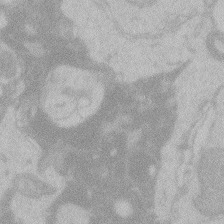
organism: Zebrafish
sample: Macrophage infected with Toxoplasma gondii